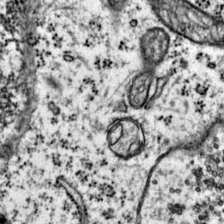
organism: Mouse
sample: Primary visual cortex